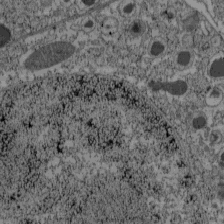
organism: C57BL Mouse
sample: Pancreatic islet